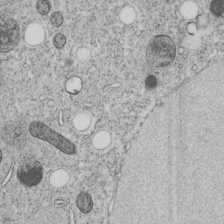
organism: C. elegans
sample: C. elegans embryo early stage